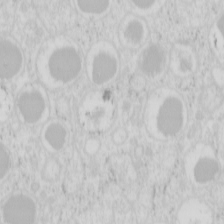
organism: Mouse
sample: Pancreas